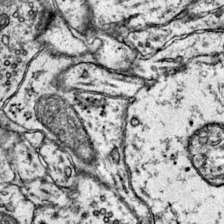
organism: Mouse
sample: Primary visual cortex